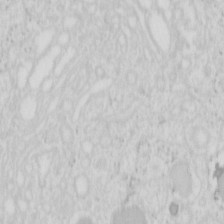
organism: Mouse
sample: Pancreas